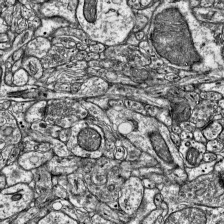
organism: Mouse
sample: Visual Cortex